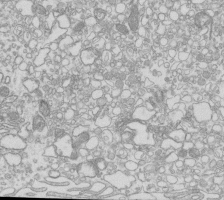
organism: Mouse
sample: Macrophages